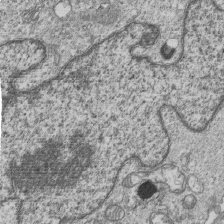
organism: Human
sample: MDA-MB-231 cells